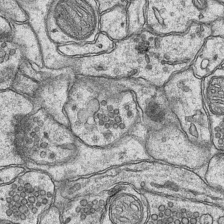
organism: Mouse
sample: CA1 Hippocampus